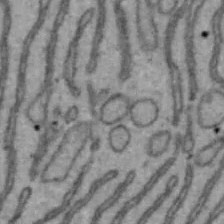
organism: Mouse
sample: Liver